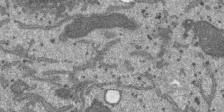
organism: Human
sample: Lung epithelial cells infected with SARS-CoV-2